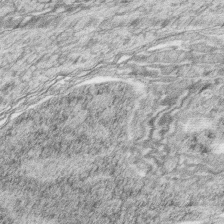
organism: Zebrafish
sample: synaptic ribbons in rod cells and cone cells